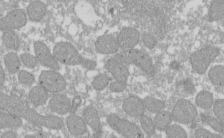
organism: Xenopus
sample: Cilia; centrioles in frog embryo cells